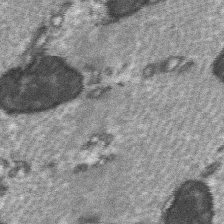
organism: C57BL Mouse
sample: Soleus